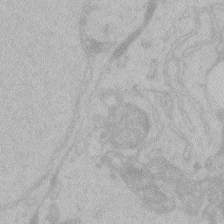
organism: Zebrafish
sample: Macrophage infected with Toxoplasma gondii